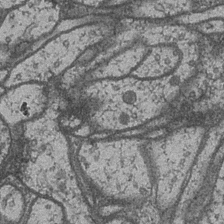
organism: Drosophila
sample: Optic medulla